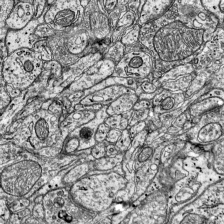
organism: Mouse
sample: Visual Cortex